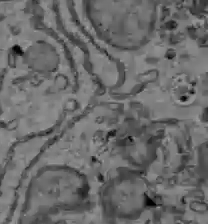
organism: C57BL Mouse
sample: Liver